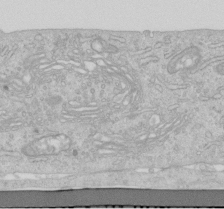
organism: Human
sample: Centriole in RPE cells